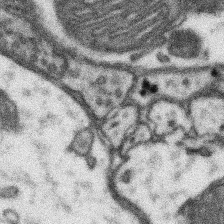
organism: Mouse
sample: Somatosensory cortex neuropil